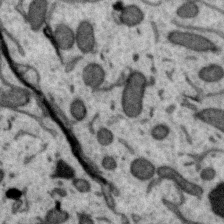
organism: Zebra finch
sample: Brain